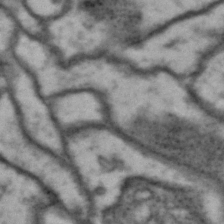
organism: Drosophila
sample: Brain